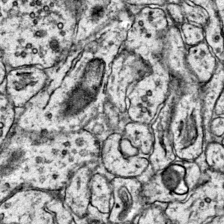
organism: Mouse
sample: Primary visual cortex